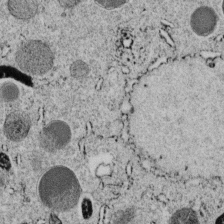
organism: C. elegans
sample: C. elegans embryo early stage